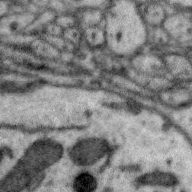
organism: Zebra finch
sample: Brain